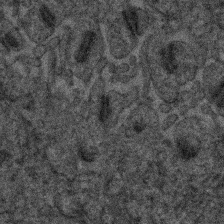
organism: Human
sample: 1205lu cells